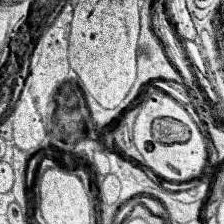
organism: Human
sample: Temporal Lobe